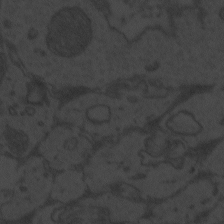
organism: Zebrafish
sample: Macrophage infected with Toxoplasma gondii